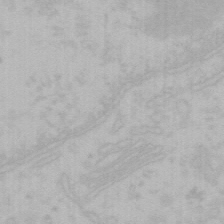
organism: Mouse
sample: Choroid plexus